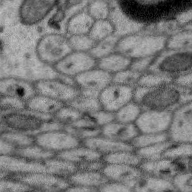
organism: Zebra finch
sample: Brain